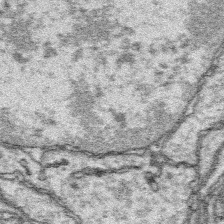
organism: Platynereis dumerilii